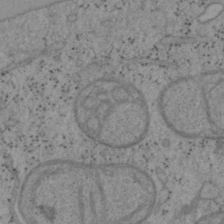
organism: Human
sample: HeLa cells